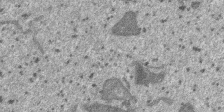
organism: Human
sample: Lung epithelial cells infected with SARS-CoV-2